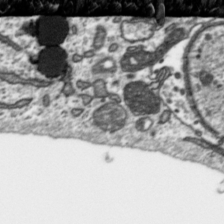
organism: Toxoplasma gondii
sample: Parasites in a vacuole inside a host cell